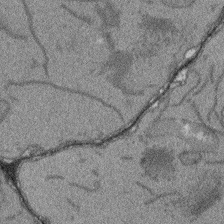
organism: Arabidopsis thaliana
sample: Root tip